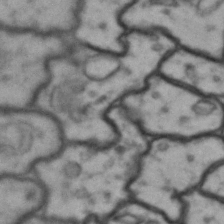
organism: Drosophila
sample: Brain